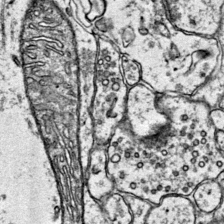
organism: Mouse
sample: Primary visual cortex